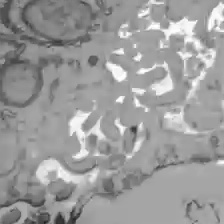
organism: C57BL Mouse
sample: Liver